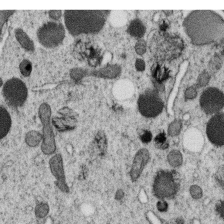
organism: C. elegans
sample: C. elegans oocyte; sperm cells